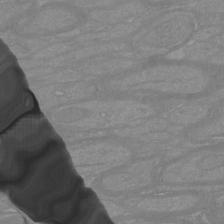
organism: Mouse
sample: Cortical neurons